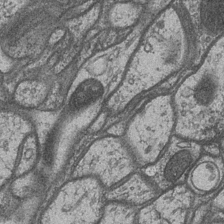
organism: Drosophila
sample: Optic medulla